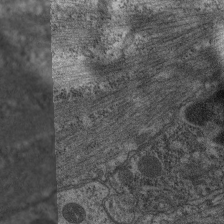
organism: C. elegans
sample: Pharynx